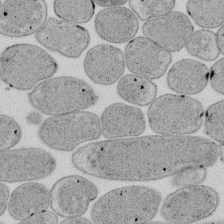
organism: E. coli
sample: Bacterial nucleoid